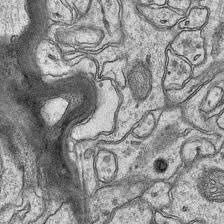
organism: Mouse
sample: CA1 Hippocampus